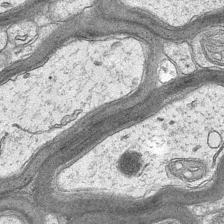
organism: Mouse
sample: CA1 Hippocampus